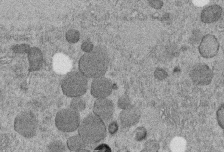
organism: C. elegans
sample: C. elegans embryo early stage